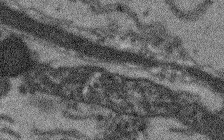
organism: Arabidopsis thaliana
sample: Root tip